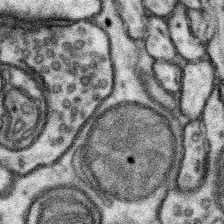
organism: Mouse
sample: Somatosensory cortex neuropil